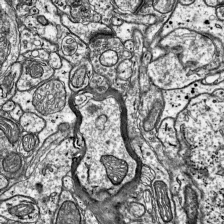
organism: Mouse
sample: Visual Cortex